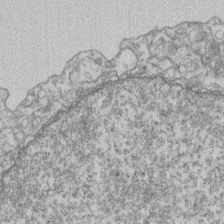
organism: Mouse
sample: T cell stromal cell synapse